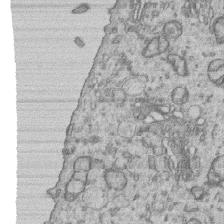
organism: Human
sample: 1205lu cells